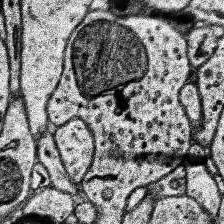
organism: Human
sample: Temporal Lobe